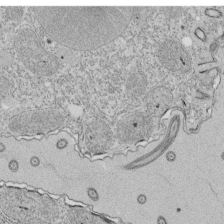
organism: Tetrahymena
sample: Cilia in tetrahymena